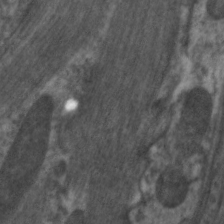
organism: C. elegans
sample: Pharynx